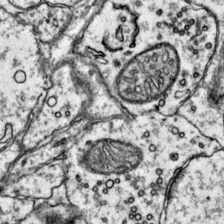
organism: Mouse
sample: Primary visual cortex